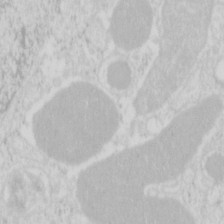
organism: Mouse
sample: Pancreas